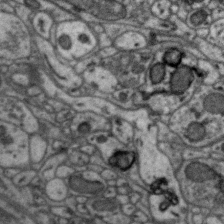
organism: Zebra finch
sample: Brain